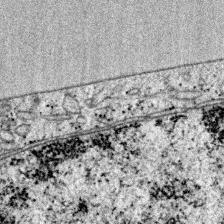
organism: Human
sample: HeLa cells